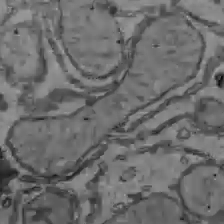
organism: C57BL Mouse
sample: Liver